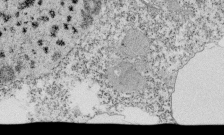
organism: Tetrahymena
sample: Cilia in tetrahymena